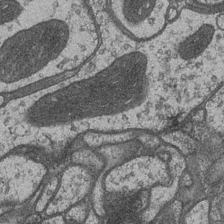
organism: Drosophila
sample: Optic medulla